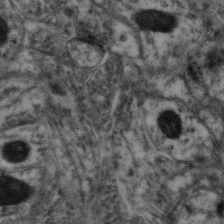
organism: Mouse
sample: Neocortex